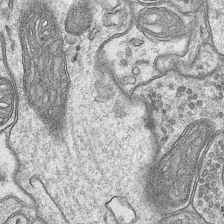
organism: Mouse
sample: CA1 Hippocampus